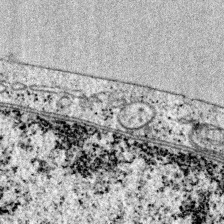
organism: Human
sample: HeLa cells